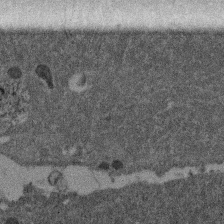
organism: Mouse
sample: Dividing mouse embryo 1 cell stage